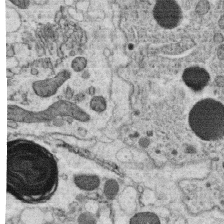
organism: C. elegans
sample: C. elegans oocyte; sperm cells